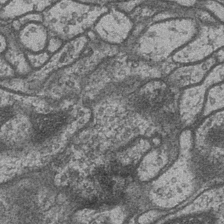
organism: Drosophila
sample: Optic medulla